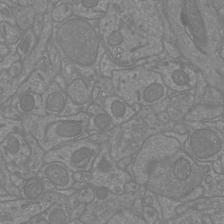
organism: Mouse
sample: Cortical neurons